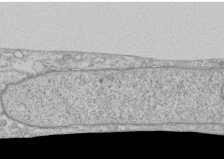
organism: Human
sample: CRL-1474